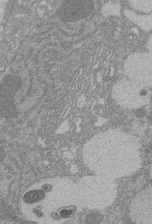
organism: Rat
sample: Salivary granule